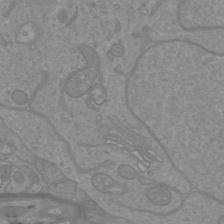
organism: Mouse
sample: Cortical neurons